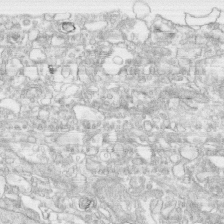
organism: Human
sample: CRL-1474